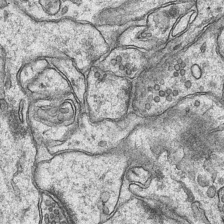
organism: Mouse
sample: CA1 Hippocampus